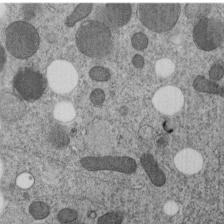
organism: C. elegans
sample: C. elegans embryo early stage